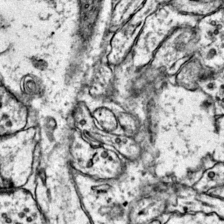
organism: Mouse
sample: Primary visual cortex